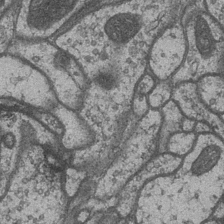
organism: Drosophila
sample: Optic medulla